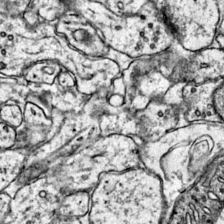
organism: Mouse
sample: Primary visual cortex